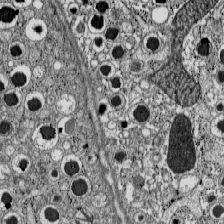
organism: C57BL Mouse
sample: Pancreatic islet